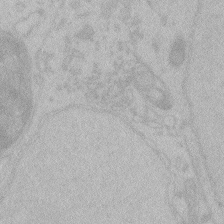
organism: Zebrafish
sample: Macrophage infected with Toxoplasma gondii